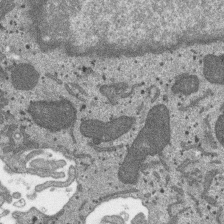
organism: Human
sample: Lung epithelial cells infected with SARS-CoV-2